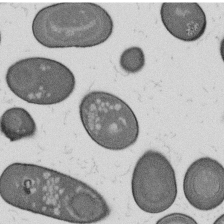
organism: B. subtilis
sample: Bacterial spore